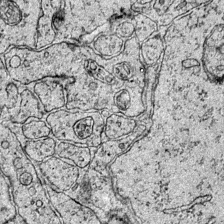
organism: Mouse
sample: Primary visual cortex